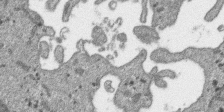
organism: Human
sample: Lung epithelial cells infected with SARS-CoV-2